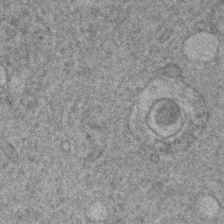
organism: Human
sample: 1205lu cells